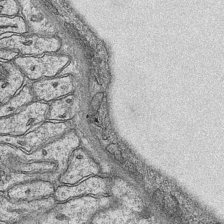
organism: Mouse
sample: CA1 Hippocampus